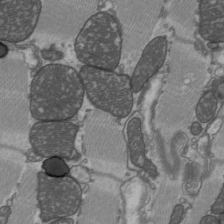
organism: C57BL Mouse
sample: Heart